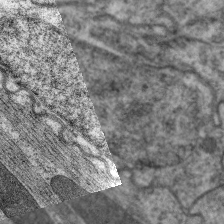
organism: C. elegans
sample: Pharynx